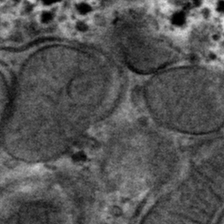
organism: Mouse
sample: Mouse hepatocytes